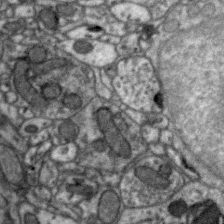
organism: Zebra finch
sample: Brain